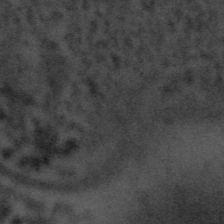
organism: Tuwongella immobilis